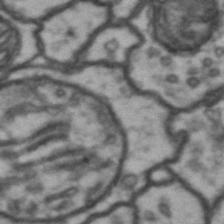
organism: Drosophila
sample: Brain